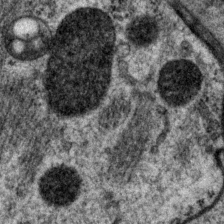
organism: P. pacificus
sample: Pharynx